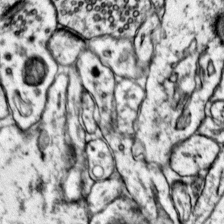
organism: Mouse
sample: Primary visual cortex